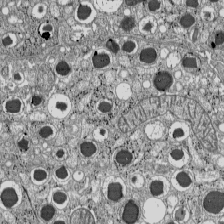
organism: C57BL Mouse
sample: Pancreatic islet